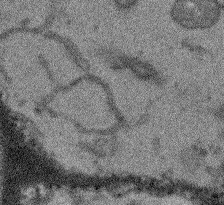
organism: Arabidopsis thaliana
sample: Root tip